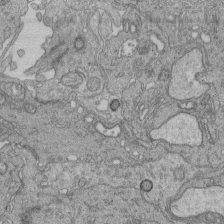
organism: Human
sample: Retinal organoid Rod and Cone cells